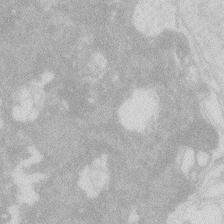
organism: Zebrafish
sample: Macrophage